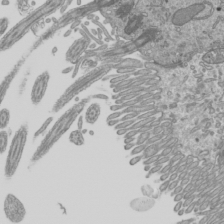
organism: Mouse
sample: Cilia; mouse epididymis